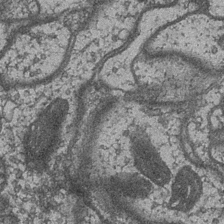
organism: Drosophila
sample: Optic medulla